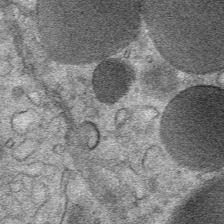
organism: Mouse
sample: Mouse Salivary gland